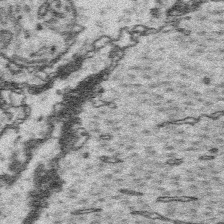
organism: Platynereis dumerilii